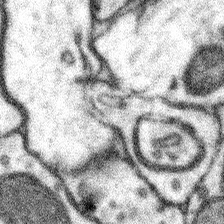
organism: Mouse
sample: Somatosensory cortex neuropil